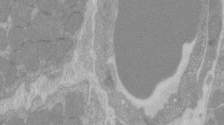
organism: C57BL Mouse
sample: Tibialis anterior muscle cell